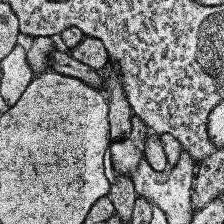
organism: Human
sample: Temporal Lobe